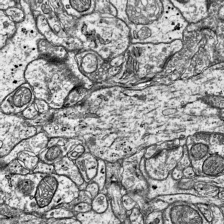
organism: Mouse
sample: Visual Cortex